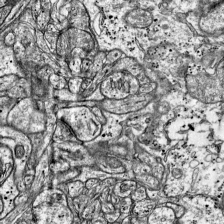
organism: Mouse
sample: Visual Cortex